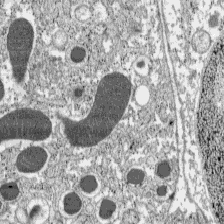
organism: C57BL Mouse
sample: Pancreatic islet